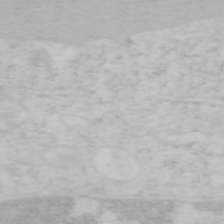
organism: Mouse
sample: OT-I killer T cells with ID8 ovarian cancer cells